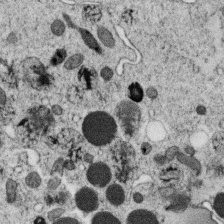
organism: C. elegans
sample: C. elegans oocyte; sperm cells